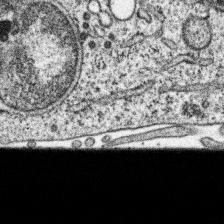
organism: Human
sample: HeLa cells